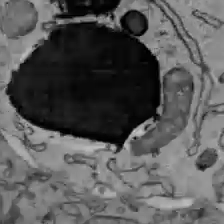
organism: C57BL Mouse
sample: Liver